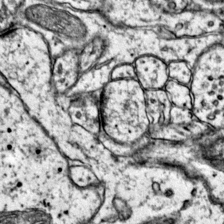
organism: Mouse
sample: Primary visual cortex